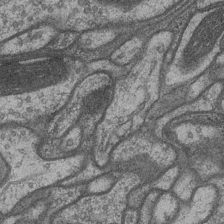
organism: Drosophila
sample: Optic medulla